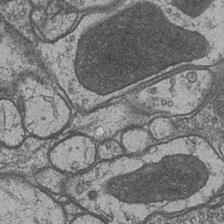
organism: Drosophila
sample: Optic medulla